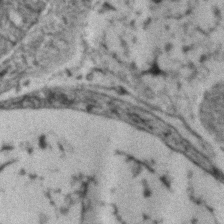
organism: Zebrafish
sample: Zebrafish embryo